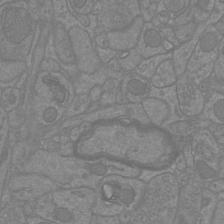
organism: Mouse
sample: Cortical neurons